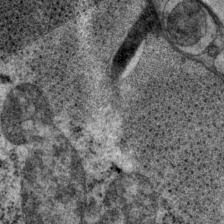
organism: P. pacificus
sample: Pharynx